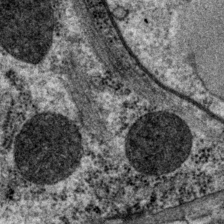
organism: P. pacificus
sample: Pharynx